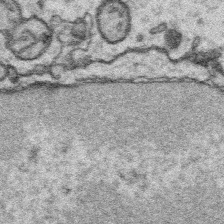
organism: Platynereis dumerilii